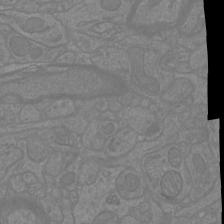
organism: Mouse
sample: Cortical neurons